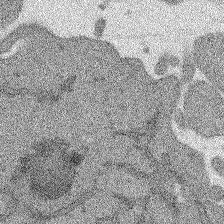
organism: Human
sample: HeLa cells